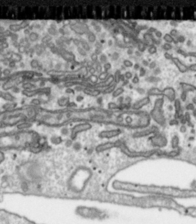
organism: Toxoplasma gondii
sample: Parasites in a vacuole inside a host cell